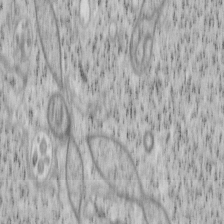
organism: Human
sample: HeLa cells